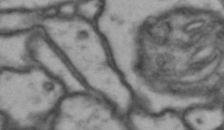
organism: Drosophila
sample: Brain